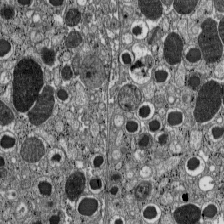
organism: C57BL Mouse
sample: Pancreatic islet